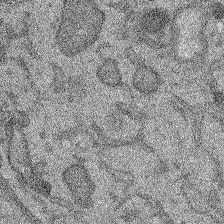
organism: Human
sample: HeLa cells